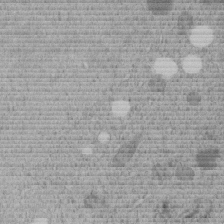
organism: C. elegans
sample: C. elegans embryo early stage